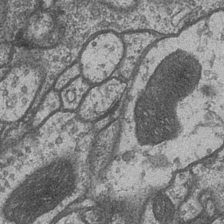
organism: Drosophila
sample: Optic medulla